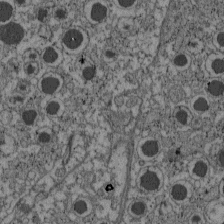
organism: C57BL Mouse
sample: Pancreatic islet